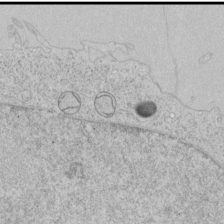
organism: Human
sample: Mitochondria in HCT116 cells